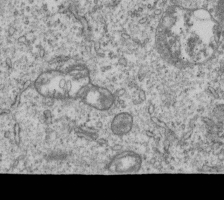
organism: Human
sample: MDA-MB-231 cells